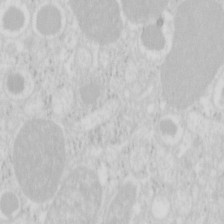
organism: Mouse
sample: Pancreas